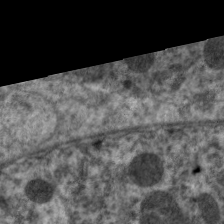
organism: C. elegans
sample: Pharynx